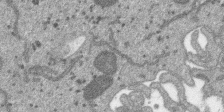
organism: Human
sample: Lung epithelial cells infected with SARS-CoV-2